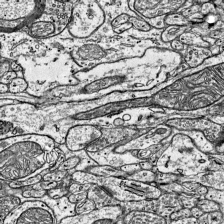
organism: Mouse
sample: Visual Cortex